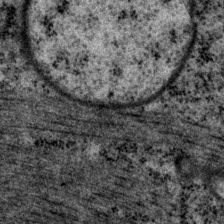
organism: P. pacificus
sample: Pharynx